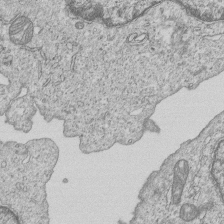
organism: Human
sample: MDA-MB-231 cells